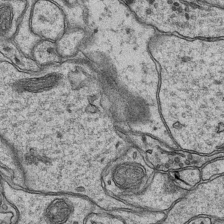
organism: Mouse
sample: CA1 Hippocampus